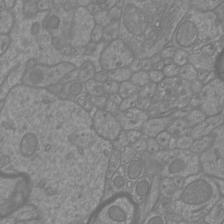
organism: Mouse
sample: Cortical neurons